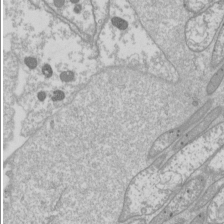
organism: Drosophila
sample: Cell division; meiosis; drosophila spermatocytes